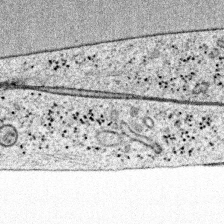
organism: Human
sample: HeLa cells